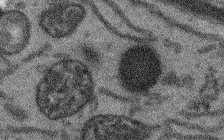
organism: Arabidopsis thaliana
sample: Root tip